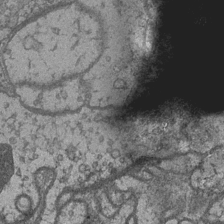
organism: Drosophila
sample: Optic medulla